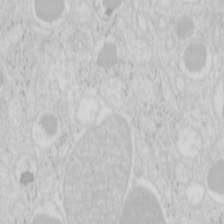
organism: Mouse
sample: Pancreas